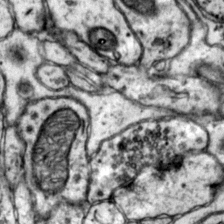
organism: Mouse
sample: Primary visual cortex